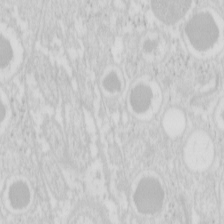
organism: Mouse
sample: Pancreas